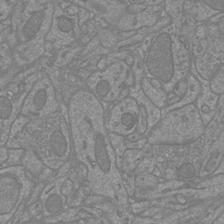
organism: Mouse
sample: Cortical neurons